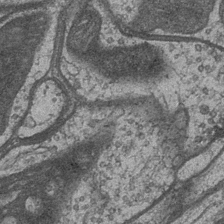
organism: Drosophila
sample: Optic medulla